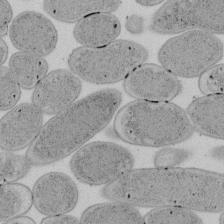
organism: E. coli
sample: Bacterial nucleoid